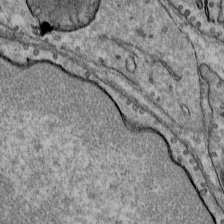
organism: Mouse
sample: Mouse Salivary gland